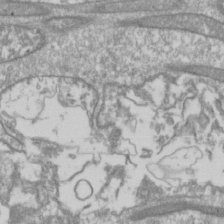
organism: Drosophila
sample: Cell division; meiosis; drosophila spermatocytes